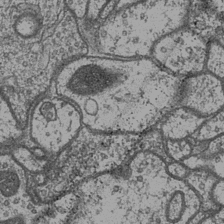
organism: Drosophila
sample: Optic medulla